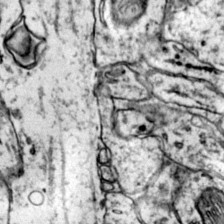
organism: Mouse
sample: Primary visual cortex